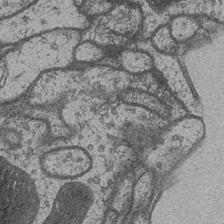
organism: Drosophila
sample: Optic medulla